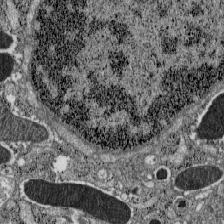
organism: C57BL Mouse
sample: Pancreatic islet